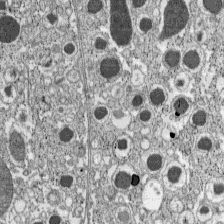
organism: C57BL Mouse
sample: Pancreatic islet